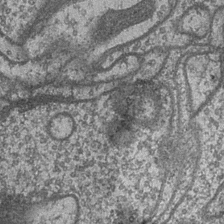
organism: Drosophila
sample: Optic medulla